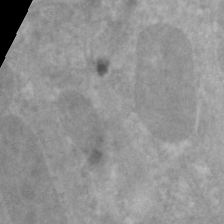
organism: C. elegans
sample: Pharynx